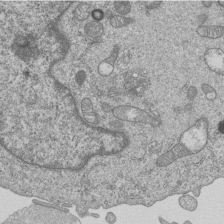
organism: Human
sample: MDA-MB-231 cells